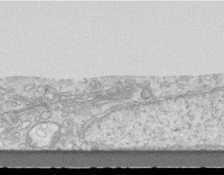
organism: Mouse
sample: Centriole in ependymal cells